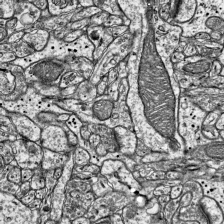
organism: Mouse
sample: Visual Cortex